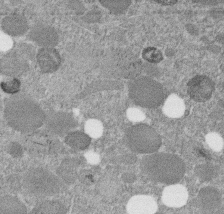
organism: C. elegans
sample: C. elegans embryo early stage